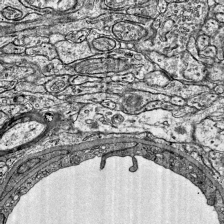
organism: Mouse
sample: Visual Cortex